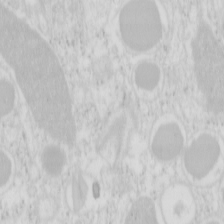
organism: Mouse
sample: Pancreas